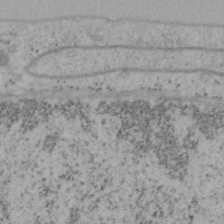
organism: Human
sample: HeLa cells